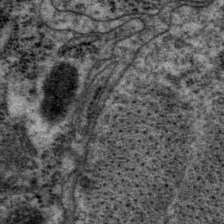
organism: P. pacificus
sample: Pharynx